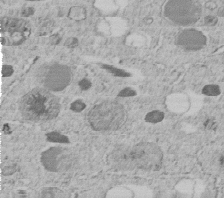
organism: C. elegans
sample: C. elegans embryo early stage